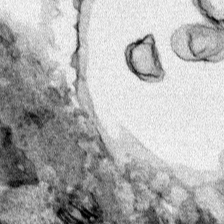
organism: Human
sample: Mitochondria in HCT116 cells